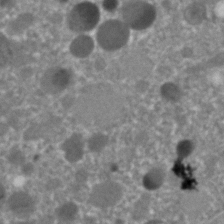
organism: C. elegans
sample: C. elegans embryo